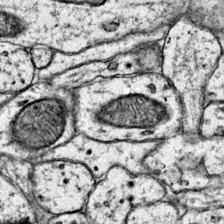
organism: Mouse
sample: Primary visual cortex